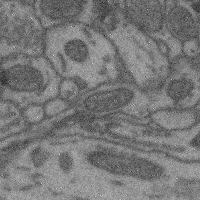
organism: Mouse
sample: Cerebral cortex